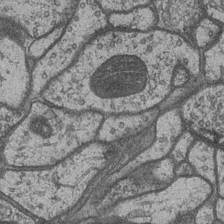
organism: Drosophila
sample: Optic medulla